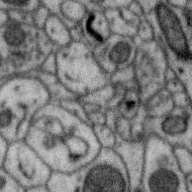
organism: Zebra finch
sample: Brain